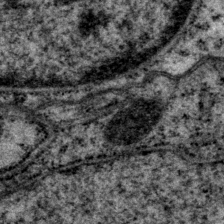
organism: P. pacificus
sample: Pharynx